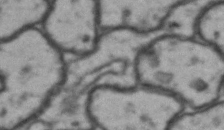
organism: Drosophila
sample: Brain